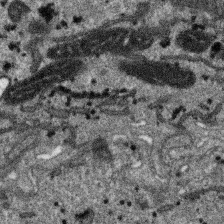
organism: Human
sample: Lung epithelial cells infected with SARS-CoV-2